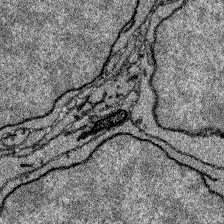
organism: Zebrafish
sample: Larval olfactory bulb